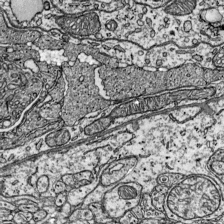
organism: Mouse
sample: Visual Cortex